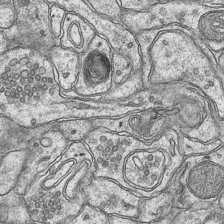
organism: Mouse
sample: CA1 Hippocampus